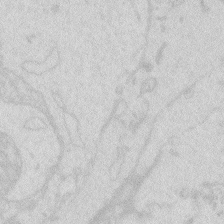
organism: Zebrafish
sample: Macrophage